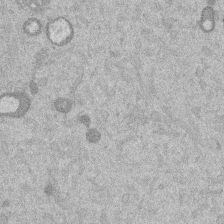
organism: Mouse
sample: Dividing mouse embryo 1 cell stage